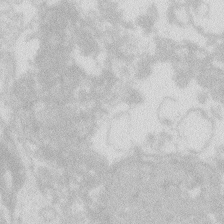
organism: Zebrafish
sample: Macrophage